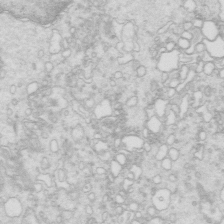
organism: Mouse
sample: Multiciliated cells